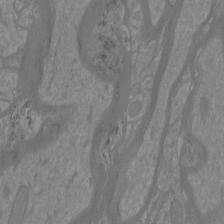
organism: Mouse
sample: Cortical neurons